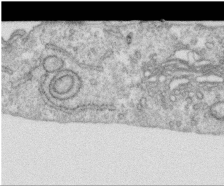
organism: Human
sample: Centriole in RPE cells